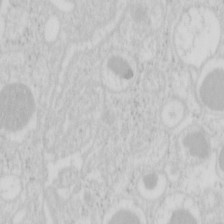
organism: Mouse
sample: Pancreas